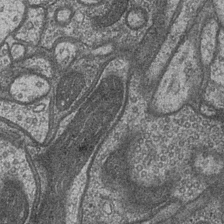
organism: Drosophila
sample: Optic medulla